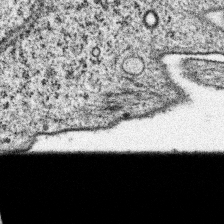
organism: Human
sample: HeLa cells